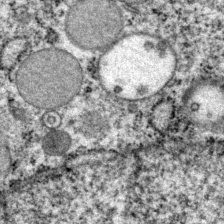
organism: P. pacificus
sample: Pharynx